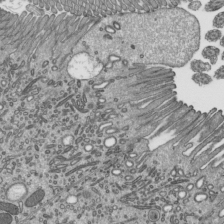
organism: Mouse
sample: Mouse epididymis efferent ductule cilia